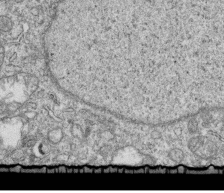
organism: Human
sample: HeLa cell HIV synapse